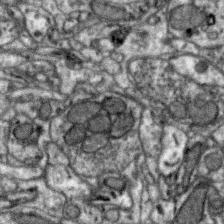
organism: Zebra finch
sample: Brain